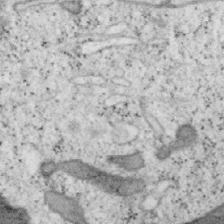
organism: Mouse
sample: OT-I killer T cells with ID8 ovarian cancer cells